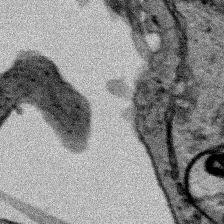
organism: Human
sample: Mitochondria in HCT116 cells